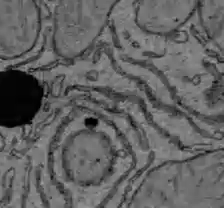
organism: C57BL Mouse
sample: Liver